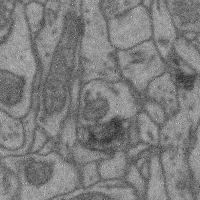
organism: Mouse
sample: Cerebral cortex